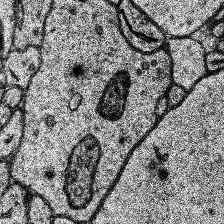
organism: Human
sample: Temporal Lobe